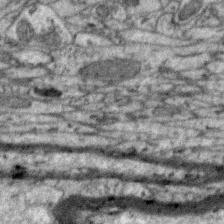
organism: Zebra finch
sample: Brain